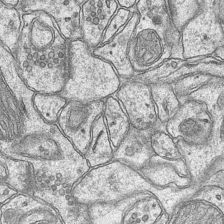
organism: Mouse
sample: CA1 Hippocampus